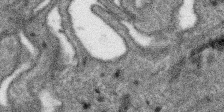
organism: Human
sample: Lung epithelial cells infected with SARS-CoV-2